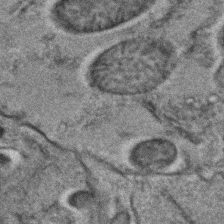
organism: C. elegans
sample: C. elegans embryo